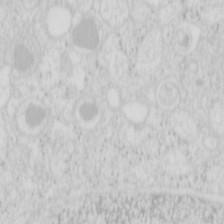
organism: Mouse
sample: Pancreas